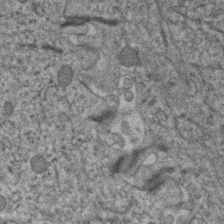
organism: Human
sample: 1205lu cells